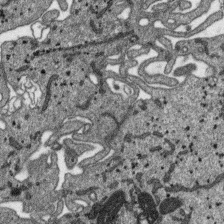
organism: Human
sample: Lung epithelial cells infected with SARS-CoV-2